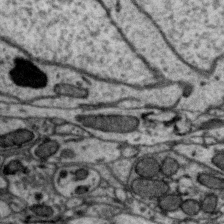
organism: Zebra finch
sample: Brain